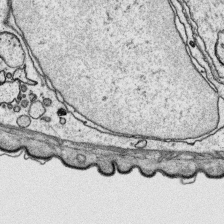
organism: Platynereis dumerilii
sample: Parapodia